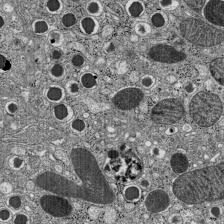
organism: C57BL Mouse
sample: Pancreatic islet